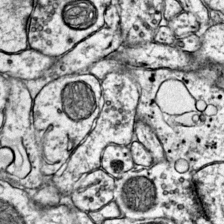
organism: Mouse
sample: Primary visual cortex